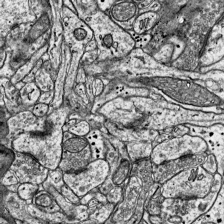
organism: Mouse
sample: Visual Cortex